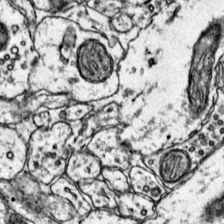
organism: Mouse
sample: Primary visual cortex